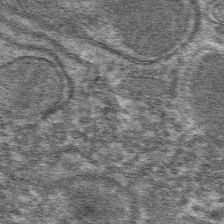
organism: Mouse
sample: Mouse hepatocytes